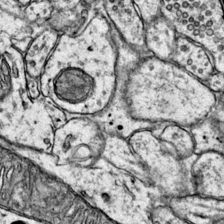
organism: Mouse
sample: Primary visual cortex